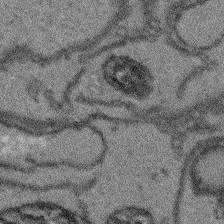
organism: Arabidopsis thaliana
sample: Root tip